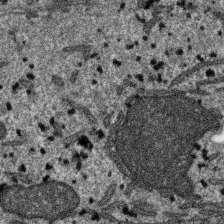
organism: Human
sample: Lung epithelial cells infected with SARS-CoV-2